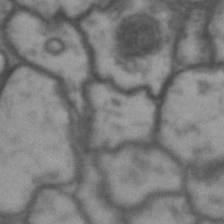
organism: Drosophila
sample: Brain